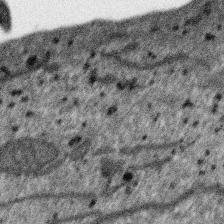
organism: Human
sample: Lung epithelial cells infected with SARS-CoV-2